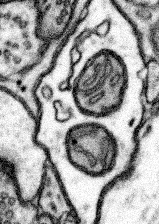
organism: Mouse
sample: Somatosensory cortex neuropil